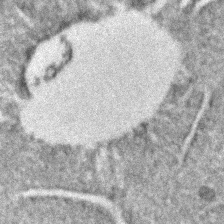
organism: C. elegans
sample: C. elegans embryo